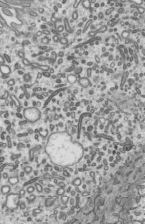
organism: Mouse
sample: Mouse epididymis efferent ductule cilia